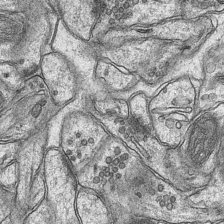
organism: Mouse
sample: CA1 Hippocampus